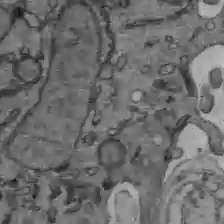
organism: C57BL Mouse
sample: Liver